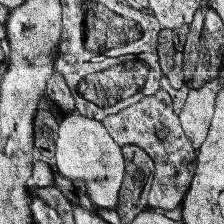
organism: Human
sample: Temporal Lobe